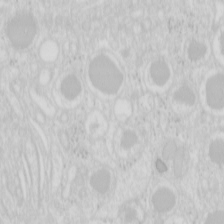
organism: Mouse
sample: Pancreas